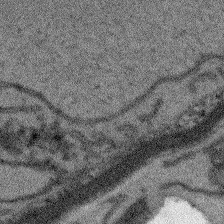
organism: Arabidopsis thaliana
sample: Root tip